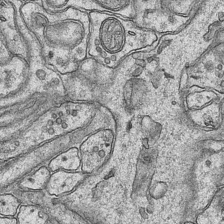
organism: Mouse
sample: CA1 Hippocampus